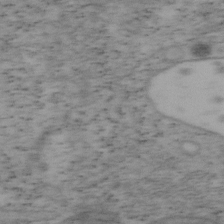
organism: Mouse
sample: OT-I killer T cells with ID8 ovarian cancer cells